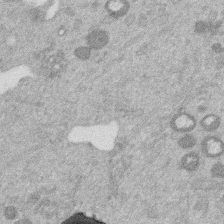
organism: Mouse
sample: Dividing mouse embryo 1 cell stage